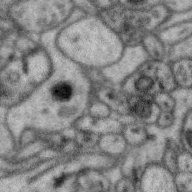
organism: Zebra finch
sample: Brain